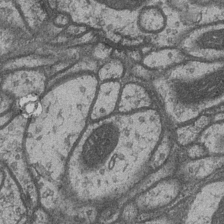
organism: Drosophila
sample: Optic medulla